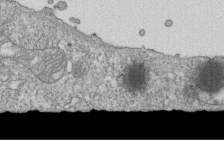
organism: Human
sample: HeLa cell HIV synapse